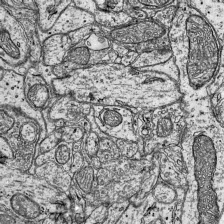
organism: Mouse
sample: Visual Cortex